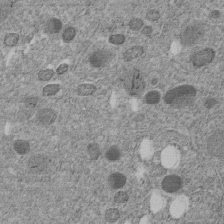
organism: C. elegans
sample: C. elegans embryo early stage